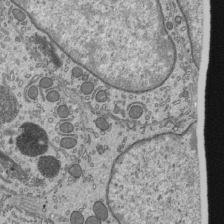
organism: Mouse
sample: Mouse epididymis efferent ductule cilia